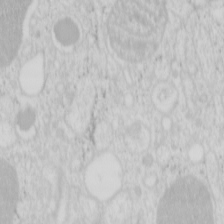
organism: Mouse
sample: Pancreas